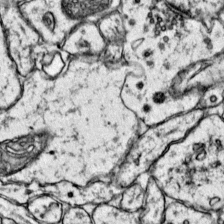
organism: Mouse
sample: Primary visual cortex